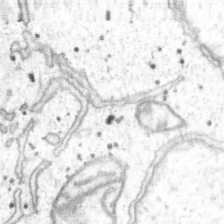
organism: Human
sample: HeLa cells